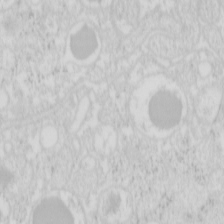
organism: Mouse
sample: Pancreas